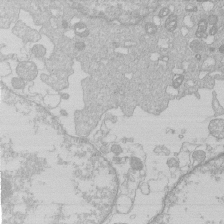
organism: Human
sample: Macrophage cells